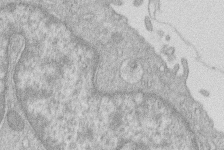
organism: Human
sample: Macrophage cells